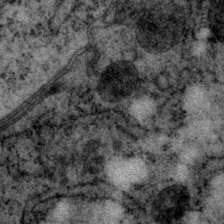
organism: P. pacificus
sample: Pharynx